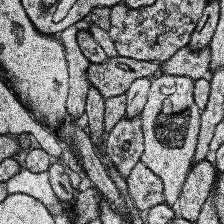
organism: Human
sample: Temporal Lobe